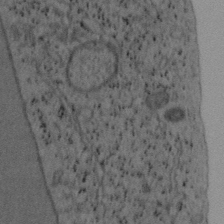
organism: Human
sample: HeLa cells